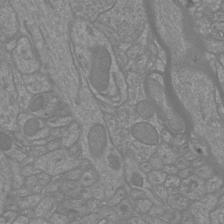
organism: Mouse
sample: Cortical neurons